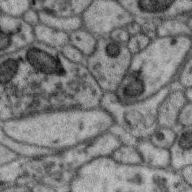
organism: Zebra finch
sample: Brain